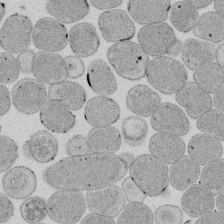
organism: E. coli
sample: Bacterial nucleoid